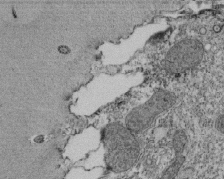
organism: Tetrahymena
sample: Cilia in tetrahymena